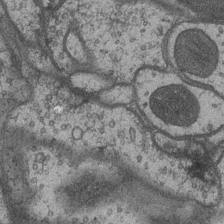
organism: Drosophila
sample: Optic medulla